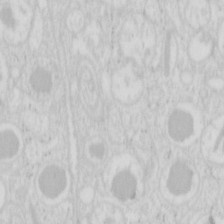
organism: Mouse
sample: Pancreas